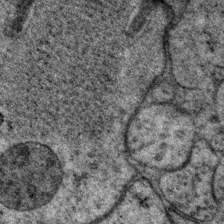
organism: P. pacificus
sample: Pharynx